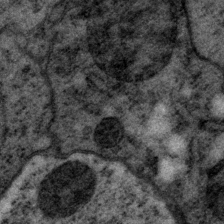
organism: P. pacificus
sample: Pharynx